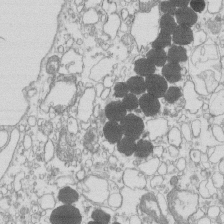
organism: Mouse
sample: Macrophages